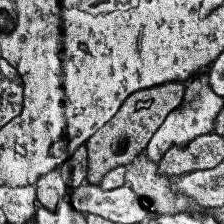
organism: Human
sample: Temporal Lobe